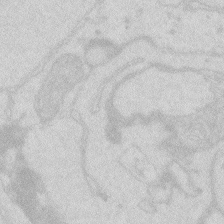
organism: Zebrafish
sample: Macrophage